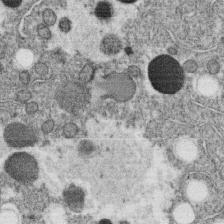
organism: C. elegans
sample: C. elegans oocyte; sperm cells